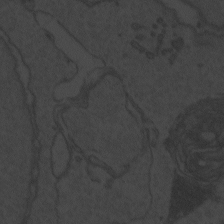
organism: Zebrafish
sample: Macrophage infected with Toxoplasma gondii